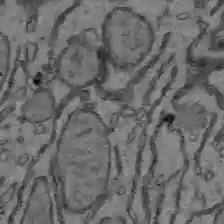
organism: C57BL Mouse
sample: Liver